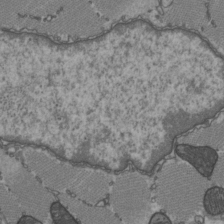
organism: C57BL Mouse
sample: Heart